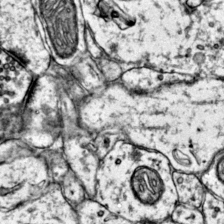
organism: Mouse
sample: Primary visual cortex